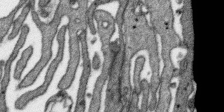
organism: Human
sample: Lung epithelial cells, uninfected (mock) control